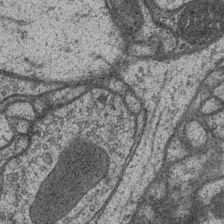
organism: Drosophila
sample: Optic medulla